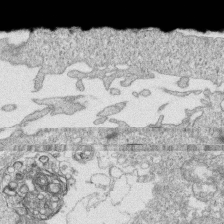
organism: Human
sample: HeLa cell HIV synapse